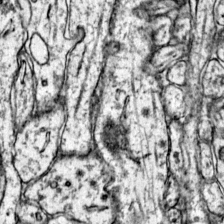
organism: Mouse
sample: Primary visual cortex